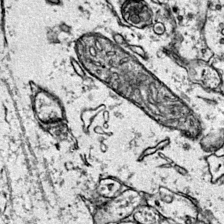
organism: Mouse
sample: Primary visual cortex